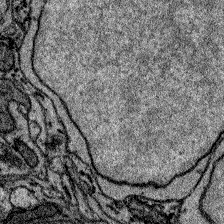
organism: Zebrafish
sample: Larval olfactory bulb